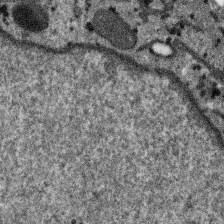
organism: Human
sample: Lung epithelial cells infected with SARS-CoV-2